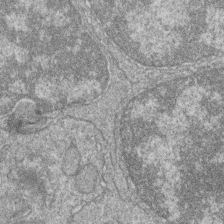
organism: Zebrafish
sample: Cilia; retinal pigment epithelium